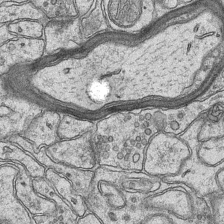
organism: Mouse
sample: CA1 Hippocampus